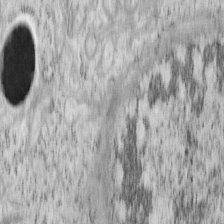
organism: Human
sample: HeLa cells